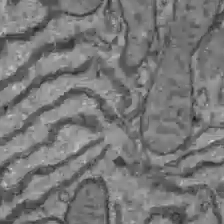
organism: C57BL Mouse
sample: Liver